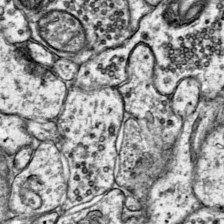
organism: Mouse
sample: Primary visual cortex